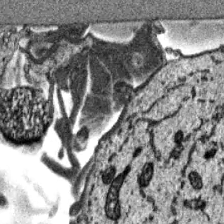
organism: Human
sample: HeLa cells